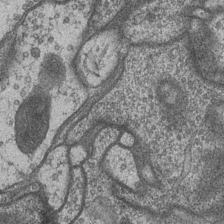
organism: Drosophila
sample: Optic medulla